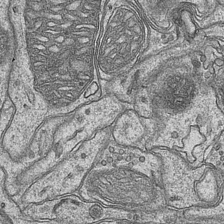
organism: Mouse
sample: CA1 Hippocampus